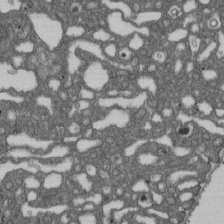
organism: Drosophila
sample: Nephrocyte